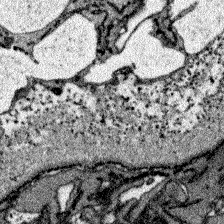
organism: Zebrafish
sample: Larval olfactory bulb